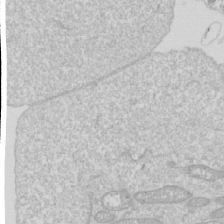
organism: Drosophila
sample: Cell division; meiosis; drosophila spermatocytes